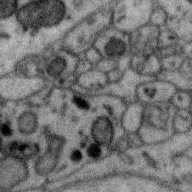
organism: Zebra finch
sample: Brain